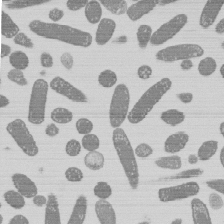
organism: E. coli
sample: Bacterial nucleoid